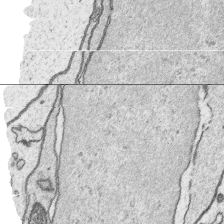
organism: Platynereis dumerilii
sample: Parapodia